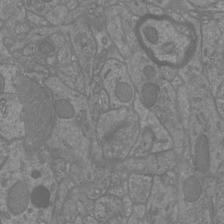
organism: Mouse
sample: Cortical neurons